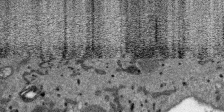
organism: Human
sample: Lung epithelial cells, uninfected (mock) control